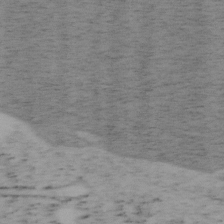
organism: Mouse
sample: OT-I killer T cells with ID8 ovarian cancer cells